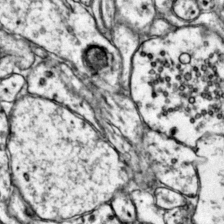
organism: Mouse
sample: Primary visual cortex